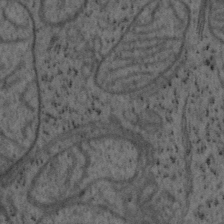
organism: Human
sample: HeLa cells